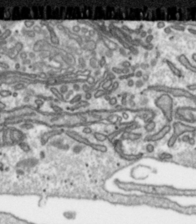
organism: Toxoplasma gondii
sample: Parasites in a vacuole inside a host cell